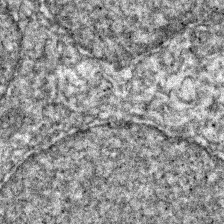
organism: Zebrafish